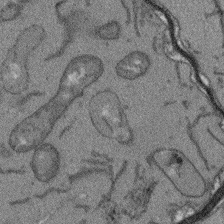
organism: Arabidopsis thaliana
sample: Root tip